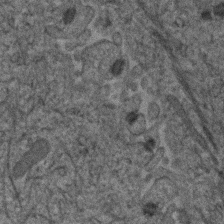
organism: Human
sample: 1205lu cells